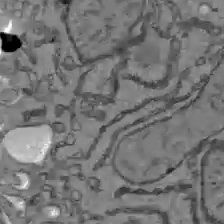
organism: C57BL Mouse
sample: Liver